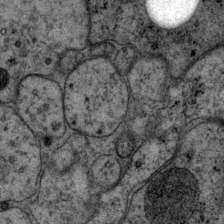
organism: P. pacificus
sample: Pharynx